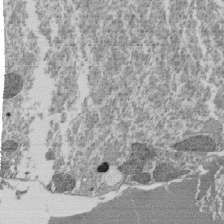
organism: Tetrahymena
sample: Cilia in tetrahymena